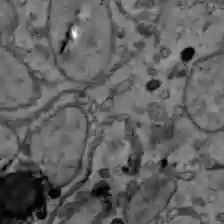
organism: C57BL Mouse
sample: Liver